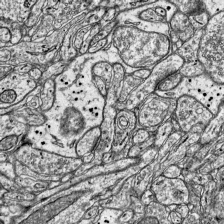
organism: Mouse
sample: Visual Cortex